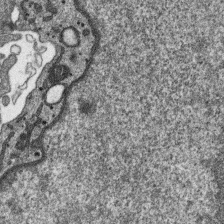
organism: Human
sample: Lung epithelial cells infected with SARS-CoV-2